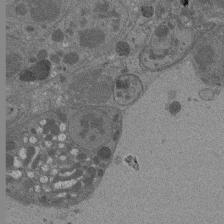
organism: Drosophila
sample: Antenna